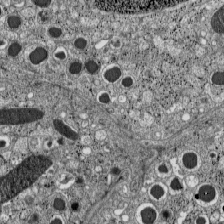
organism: C57BL Mouse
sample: Pancreatic islet